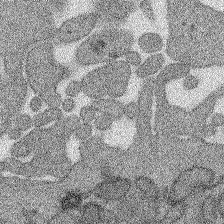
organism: Human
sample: HeLa cells